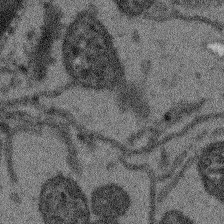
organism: Arabidopsis thaliana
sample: Root tip